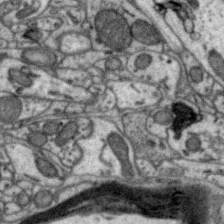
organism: Zebra finch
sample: Brain